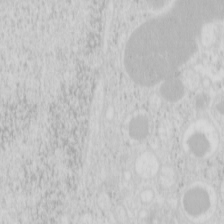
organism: Mouse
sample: Pancreas